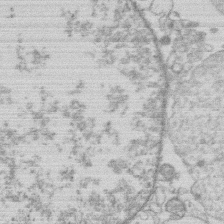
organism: Human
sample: Macrophage cells